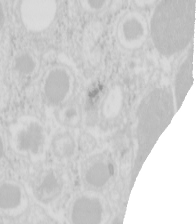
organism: Mouse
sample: Pancreas